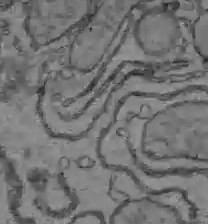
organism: C57BL Mouse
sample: Liver